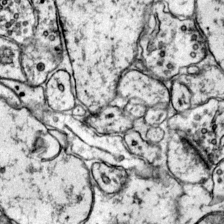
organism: Mouse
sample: Primary visual cortex